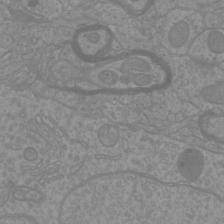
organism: Mouse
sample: Cortical neurons